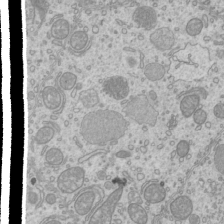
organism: Mouse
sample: Cilia; mouse epididymis